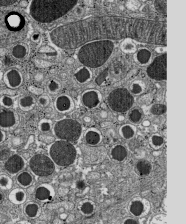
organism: C57BL Mouse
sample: Pancreatic islet